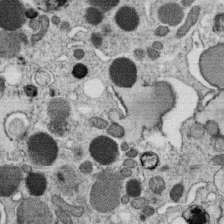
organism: C. elegans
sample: C. elegans oocyte; sperm cells